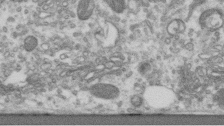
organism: Human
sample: Centriole in RPE cells